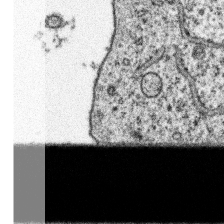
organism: Human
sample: HeLa cells